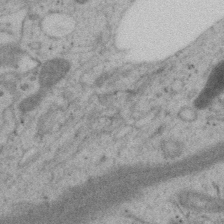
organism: Human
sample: HeLa cells